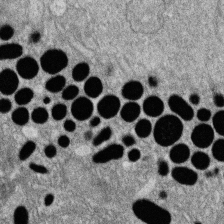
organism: Zebrafish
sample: Cilia; retinal pigment epithelium